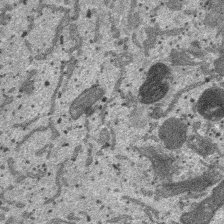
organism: Human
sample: Lung epithelial cells infected with SARS-CoV-2